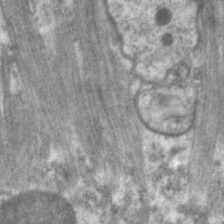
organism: C. elegans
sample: Pharynx